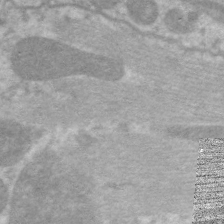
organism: C. elegans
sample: Pharynx